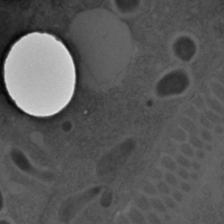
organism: C. elegans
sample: C. elegans embryo